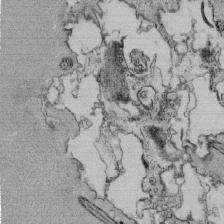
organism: Tetrahymena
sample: Cilia in tetrahymena